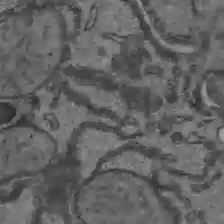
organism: C57BL Mouse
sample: Liver